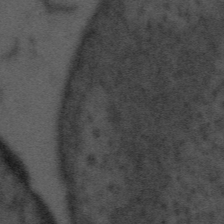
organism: Tuwongella immobilis